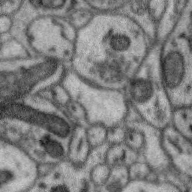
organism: Zebra finch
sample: Brain